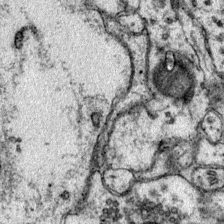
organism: Mouse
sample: Primary visual cortex